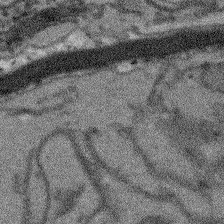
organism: Arabidopsis thaliana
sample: Root tip